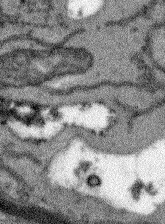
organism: Arabidopsis thaliana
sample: Root tip